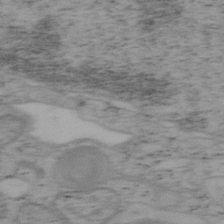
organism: Mouse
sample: OT-I killer T cells with ID8 ovarian cancer cells